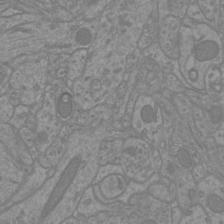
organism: Mouse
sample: Cortical neurons